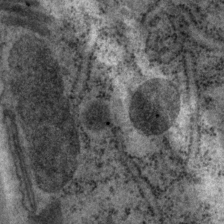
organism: P. pacificus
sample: Pharynx